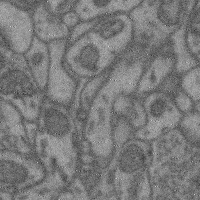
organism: Mouse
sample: Cerebral cortex